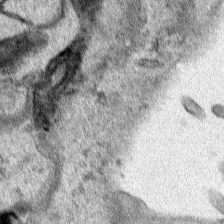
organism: Human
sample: Mitochondria in HCT116 cells